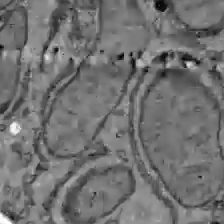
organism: C57BL Mouse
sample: Liver